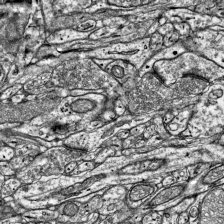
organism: Mouse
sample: Visual Cortex